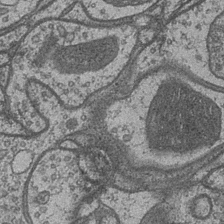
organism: Drosophila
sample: Optic medulla